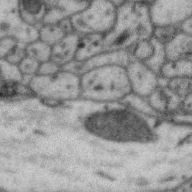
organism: Zebra finch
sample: Brain